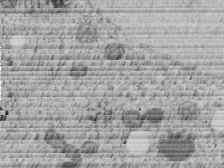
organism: C. elegans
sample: C. elegans embryo early stage